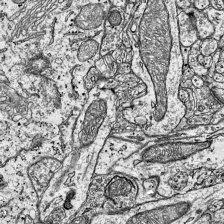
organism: Mouse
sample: Visual Cortex